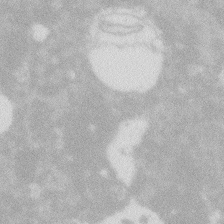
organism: Zebrafish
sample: Macrophage